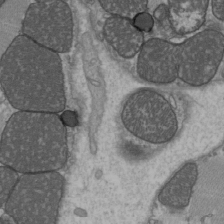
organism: C57BL Mouse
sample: Heart